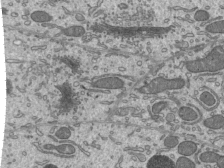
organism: Mouse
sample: Mouse epididymis efferent ductule cilia